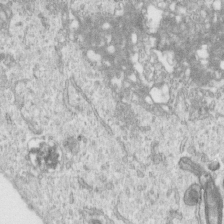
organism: Human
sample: Centriole in RPE cells